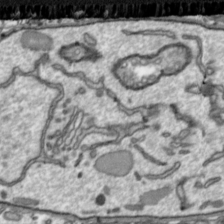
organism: Toxoplasma gondii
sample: Parasites in a vacuole inside a host cell